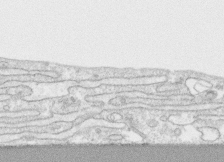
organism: Human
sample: CRL-1474